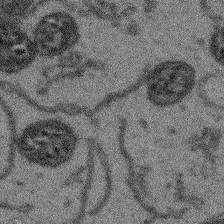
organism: Arabidopsis thaliana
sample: Root tip